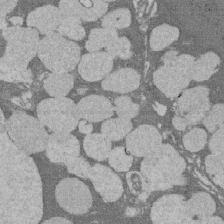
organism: Rat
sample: Salivary granule